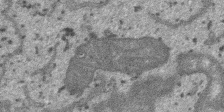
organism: Human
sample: Lung epithelial cells infected with SARS-CoV-2